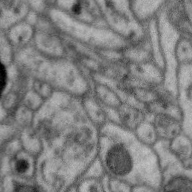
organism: Zebra finch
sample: Brain